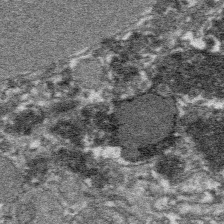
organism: Platynereis dumerilii